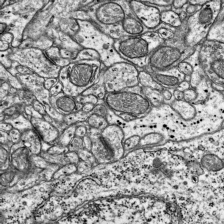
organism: Mouse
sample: Visual Cortex